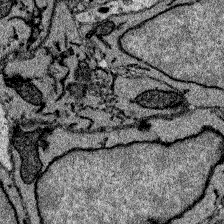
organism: Zebrafish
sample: Larval olfactory bulb